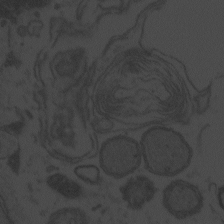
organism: Zebrafish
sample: Macrophage infected with Toxoplasma gondii